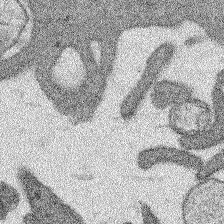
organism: Human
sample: HeLa cells